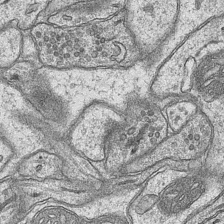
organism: Mouse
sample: CA1 Hippocampus